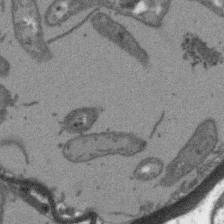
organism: Arabidopsis thaliana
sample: Root tip